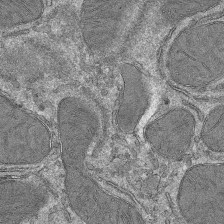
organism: Mouse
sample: Mouse hepatocytes